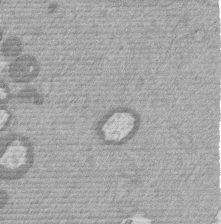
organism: Mouse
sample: Dividing mouse embryo 1 cell stage